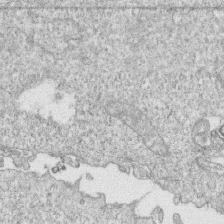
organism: Human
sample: HeLa cell HIV synapse